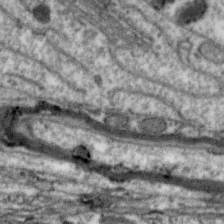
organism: Zebra finch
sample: Brain